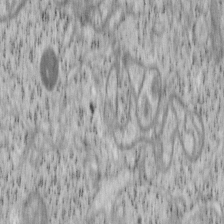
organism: Human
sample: HeLa cells